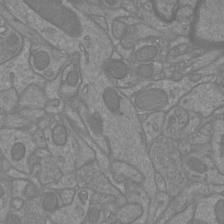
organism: Mouse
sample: Cortical neurons